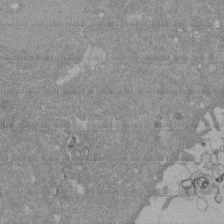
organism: Mouse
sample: ED-1 cell nuclei; centrioles